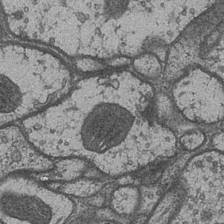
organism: Drosophila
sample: Optic medulla